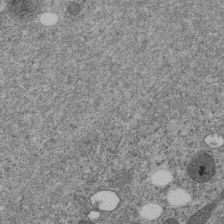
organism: C. elegans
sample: C. elegans embryo early stage